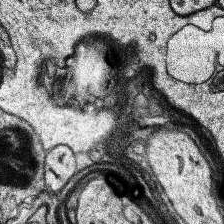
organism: Human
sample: Temporal Lobe